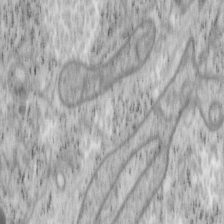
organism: Human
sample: HeLa cells